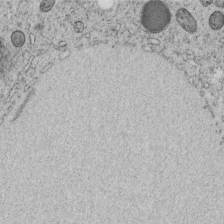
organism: C. elegans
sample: C. elegans embryo early stage